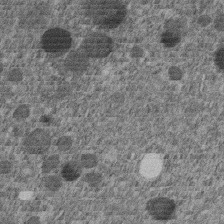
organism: C. elegans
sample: C. elegans embryo early stage